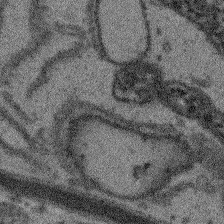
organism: Arabidopsis thaliana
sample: Root tip